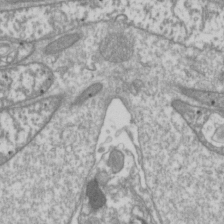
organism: Drosophila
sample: Cell division; meiosis; drosophila spermatocytes